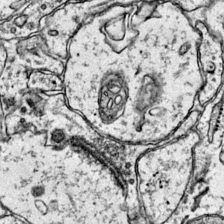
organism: Mouse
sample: Primary visual cortex